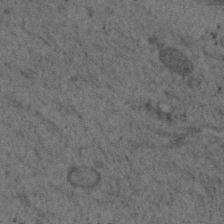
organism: Human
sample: HeLa cells